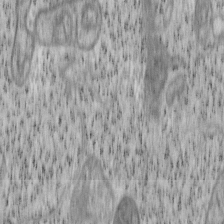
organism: Human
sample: HeLa cells